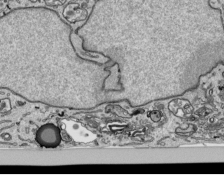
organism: Human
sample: Mitochondria in HCT116 cells